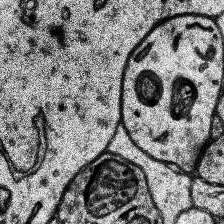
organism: Human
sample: Temporal Lobe